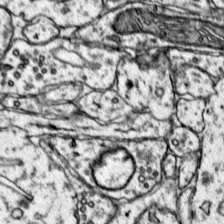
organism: Mouse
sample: Primary visual cortex